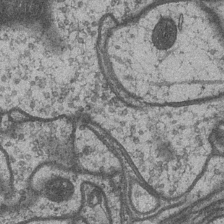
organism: Drosophila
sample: Optic medulla